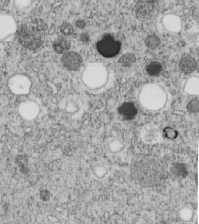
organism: C. elegans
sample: C. elegans embryo early stage